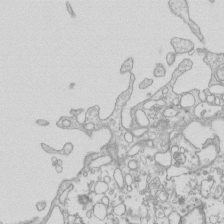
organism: Mouse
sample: Macrophages